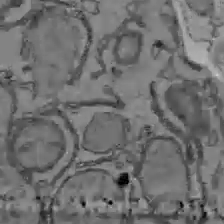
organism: C57BL Mouse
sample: Liver